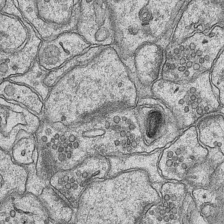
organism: Mouse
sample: CA1 Hippocampus